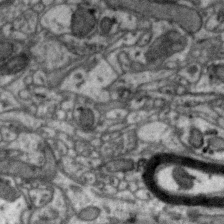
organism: Zebra finch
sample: Brain